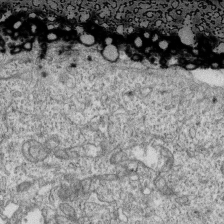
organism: Human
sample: HeLa cell HIV synapse